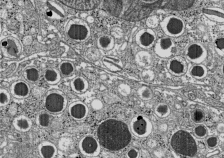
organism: C57BL Mouse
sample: Pancreatic islet